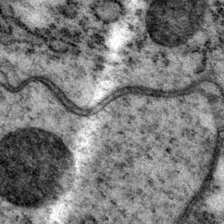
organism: P. pacificus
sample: Pharynx